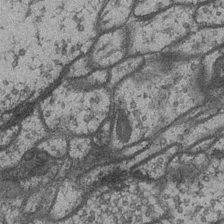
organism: Drosophila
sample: Optic medulla